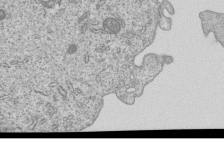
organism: Human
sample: MDA-MB-231 cells